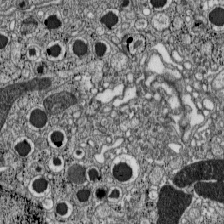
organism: C57BL Mouse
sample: Pancreatic islet